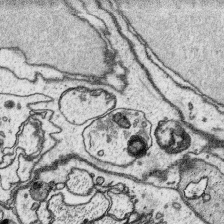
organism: Platynereis dumerilii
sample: Parapodia